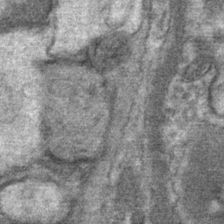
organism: Mouse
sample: Mouse Salivary gland